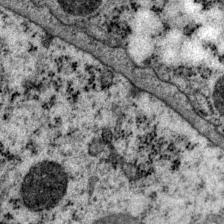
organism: P. pacificus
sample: Pharynx